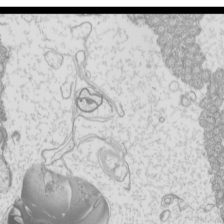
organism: Mouse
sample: Cilia; mouse epididymis